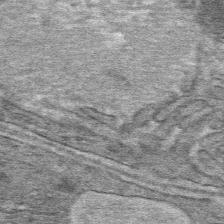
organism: Mouse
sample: Mouse hepatocytes